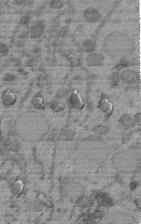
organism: C. elegans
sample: C. elegans embryo early stage